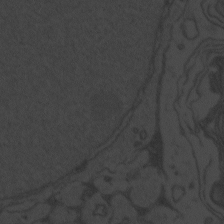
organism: Zebrafish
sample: Macrophage infected with Toxoplasma gondii